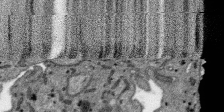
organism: Human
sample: Lung epithelial cells, uninfected (mock) control